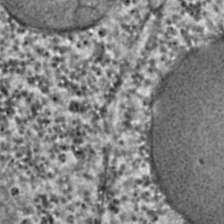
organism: C. elegans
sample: C. elegans embryo